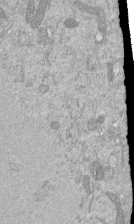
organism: Mouse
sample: ED-1 cell nuclei; centrioles